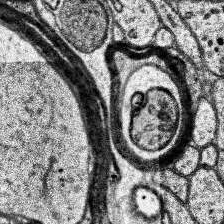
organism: Human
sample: Temporal Lobe